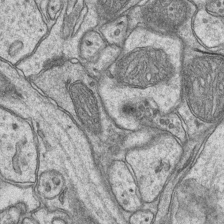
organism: Mouse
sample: CA1 Hippocampus